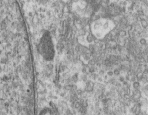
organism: Human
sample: Centriole in RPE cells